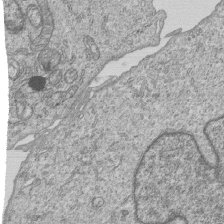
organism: Human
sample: MDA-MB-231 cells